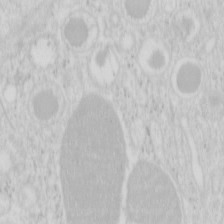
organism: Mouse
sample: Pancreas